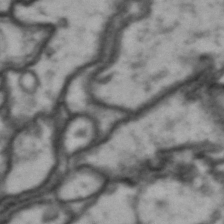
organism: Drosophila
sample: Brain